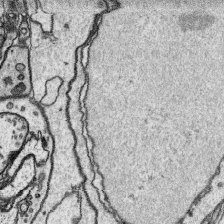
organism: Platynereis dumerilii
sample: Parapodia